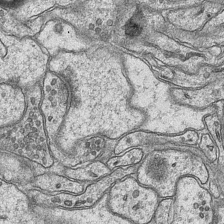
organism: Mouse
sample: CA1 Hippocampus